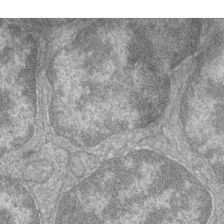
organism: Zebrafish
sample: Cilia; retinal pigment epithelium